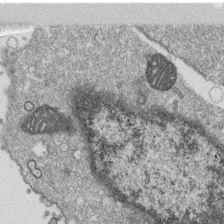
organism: African green monkey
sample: Vero E6 cells infected with SARS-CoV-2